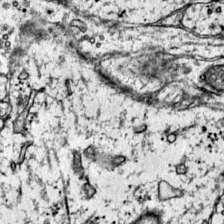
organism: Mouse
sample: Primary visual cortex